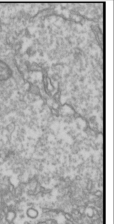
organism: Drosophila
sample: Cell division; meiosis; drosophila spermatocytes